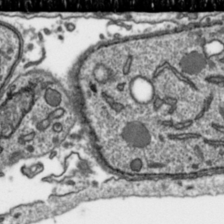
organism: Toxoplasma gondii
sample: Parasites in a vacuole inside a host cell